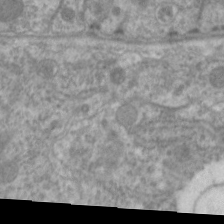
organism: C. elegans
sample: Pharynx